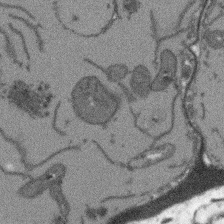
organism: Arabidopsis thaliana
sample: Root tip